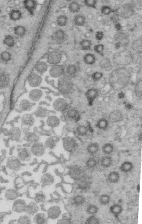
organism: Mouse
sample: Multiciliated cells